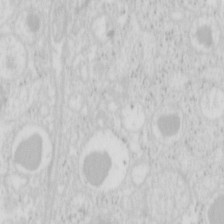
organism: Mouse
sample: Pancreas